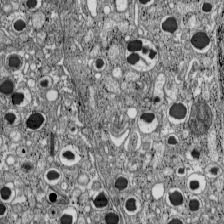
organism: C57BL Mouse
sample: Pancreatic islet